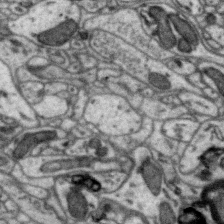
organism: Zebra finch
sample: Brain